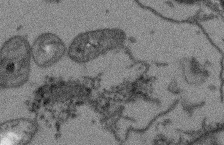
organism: Arabidopsis thaliana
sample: Root tip